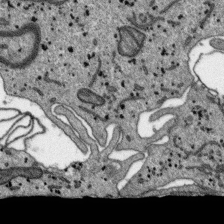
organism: Human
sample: Lung epithelial cells, uninfected (mock) control